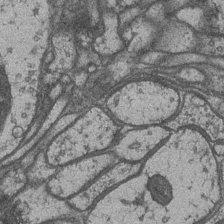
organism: Drosophila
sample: Optic medulla